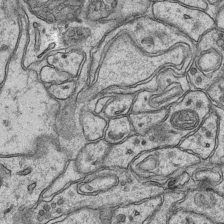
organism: Mouse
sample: CA1 Hippocampus